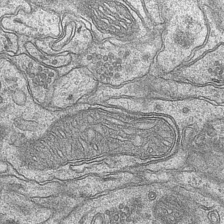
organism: Mouse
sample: CA1 Hippocampus